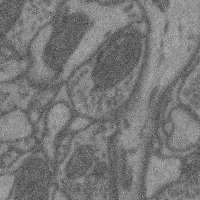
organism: Mouse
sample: Cerebral cortex